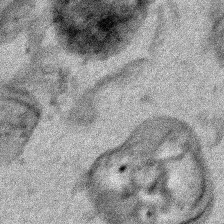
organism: Human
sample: Mitochondria in HCT116 cells